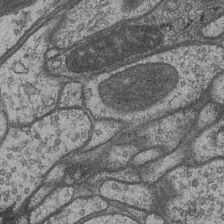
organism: Drosophila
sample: Optic medulla